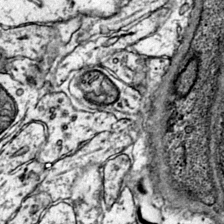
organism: Mouse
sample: Primary visual cortex